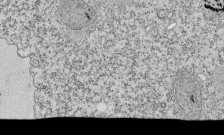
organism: Tetrahymena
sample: Cilia in tetrahymena